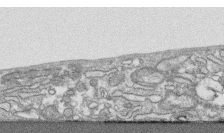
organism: Human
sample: CRL-1474